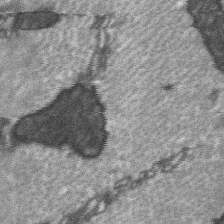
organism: C57BL Mouse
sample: Soleus